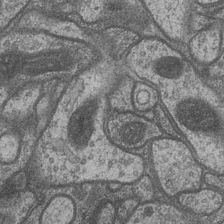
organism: Drosophila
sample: Optic medulla